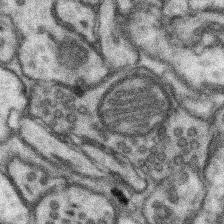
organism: Mouse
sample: Somatosensory cortex neuropil